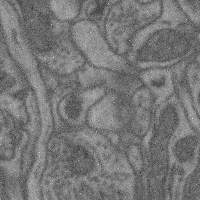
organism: Mouse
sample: Cerebral cortex